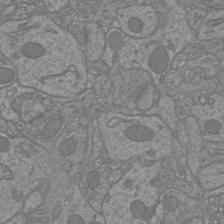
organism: Mouse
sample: Cortical neurons